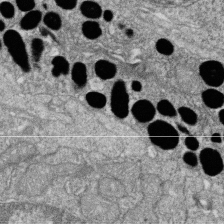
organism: Zebrafish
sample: Cilia; retinal pigment epithelium